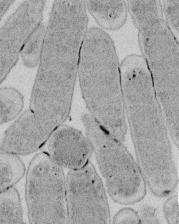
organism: E. coli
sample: Bacterial nucleoid